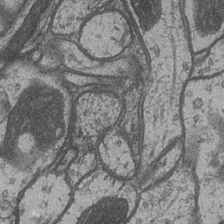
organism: Drosophila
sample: Optic medulla